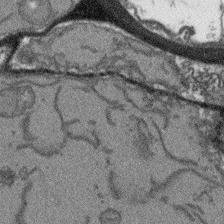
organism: Arabidopsis thaliana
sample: Root tip